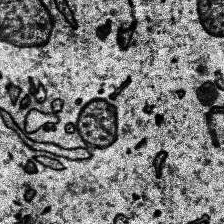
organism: Human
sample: Temporal Lobe